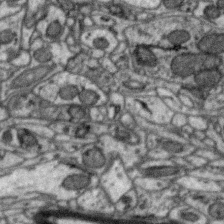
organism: Zebra finch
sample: Brain